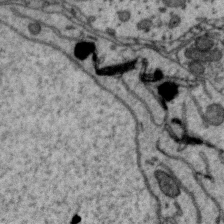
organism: Zebra finch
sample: Brain